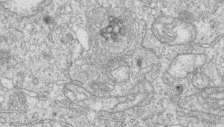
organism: Human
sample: HeLa cell HIV synapse